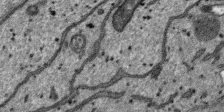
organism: Human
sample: Lung epithelial cells, uninfected (mock) control